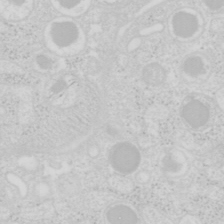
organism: Mouse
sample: Pancreas